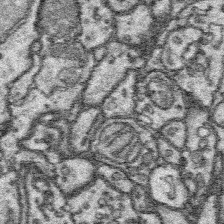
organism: Platynereis dumerilii